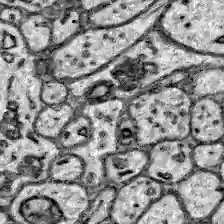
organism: Zebrafish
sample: Brain